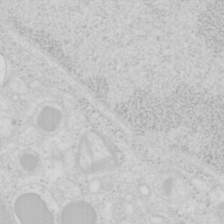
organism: Mouse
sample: Pancreas